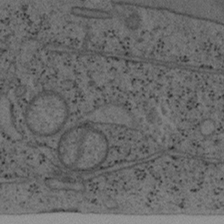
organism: Human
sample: HeLa cells